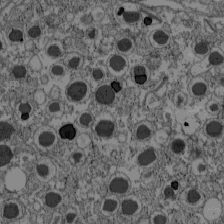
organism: C57BL Mouse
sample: Pancreatic islet